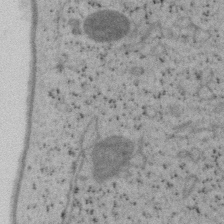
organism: Human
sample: HeLa cells